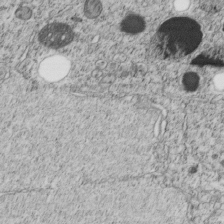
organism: C. elegans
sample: C. elegans embryo early stage